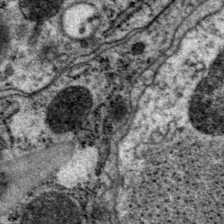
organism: P. pacificus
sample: Pharynx